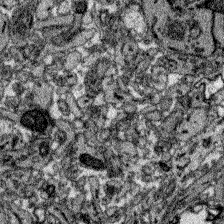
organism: Zebrafish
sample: Larval olfactory bulb